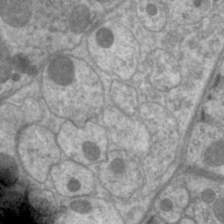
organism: C. elegans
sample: Pharynx